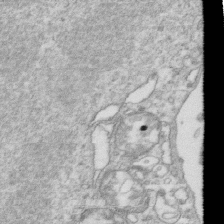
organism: Mouse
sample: Activated OT-1 CD8+ T cells